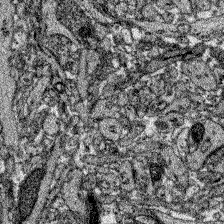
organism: Zebrafish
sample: Larval olfactory bulb